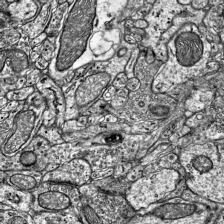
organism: Mouse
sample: Visual Cortex